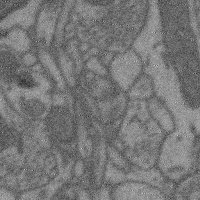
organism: Mouse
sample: Cerebral cortex